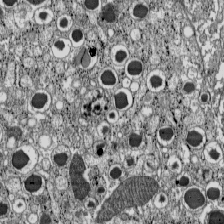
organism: C57BL Mouse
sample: Pancreatic islet